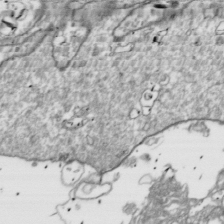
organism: Drosophila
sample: Cell division; meiosis; drosophila spermatocytes